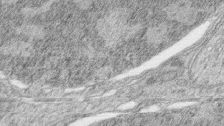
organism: Zebrafish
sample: synaptic ribbons in rod cells and cone cells